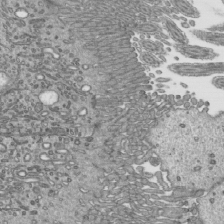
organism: Mouse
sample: Mouse epididymis efferent ductule cilia